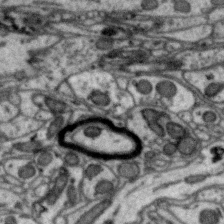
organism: Zebra finch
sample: Brain